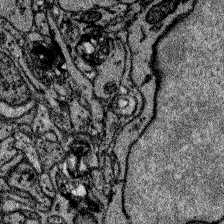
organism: Zebrafish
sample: Larval olfactory bulb